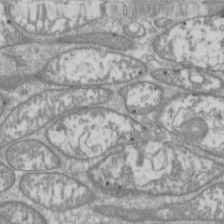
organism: Drosophila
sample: Cell division; meiosis; drosophila spermatocytes